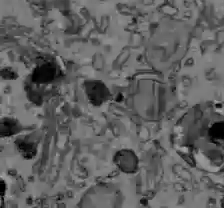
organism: C57BL Mouse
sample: Liver